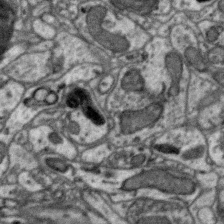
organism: Zebra finch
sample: Brain